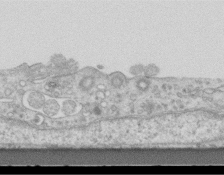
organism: Mouse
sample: Centriole in ependymal cells